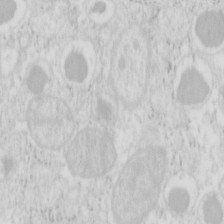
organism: Mouse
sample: Pancreas